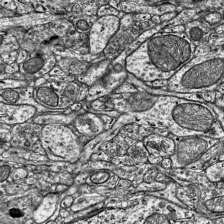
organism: Mouse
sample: Visual Cortex